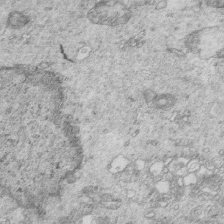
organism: Mouse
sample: Multiciliated cells